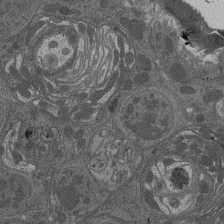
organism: Drosophila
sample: Antenna